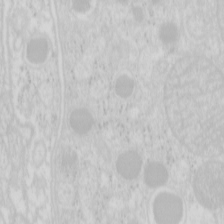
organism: Mouse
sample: Pancreas